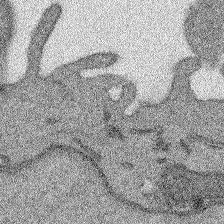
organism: Human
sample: HeLa cells